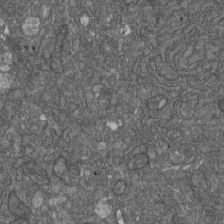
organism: Drosophila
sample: Nephrocyte